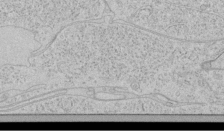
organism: Human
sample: Mitochondria in HCT116 cells